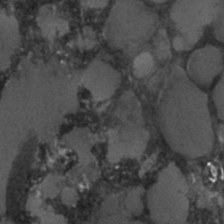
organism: C. elegans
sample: C. elegans embryo